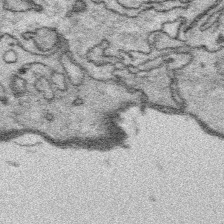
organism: Platynereis dumerilii